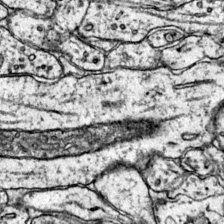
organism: Mouse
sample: Primary visual cortex